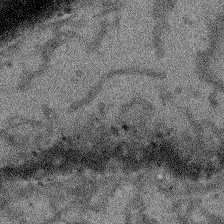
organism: Arabidopsis thaliana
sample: Root tip